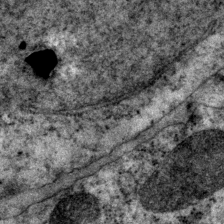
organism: P. pacificus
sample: Pharynx